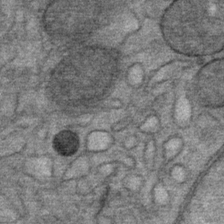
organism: Mouse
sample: Mouse Salivary gland